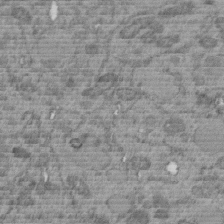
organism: C. elegans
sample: C. elegans embryo early stage